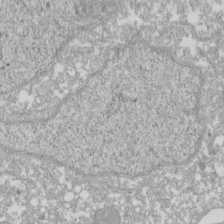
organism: Xenopus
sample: Cilia; centrioles in frog embryo cells